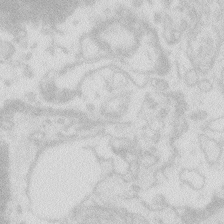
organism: Zebrafish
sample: Macrophage